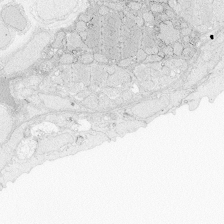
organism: Zebrafish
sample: Whole-Brain